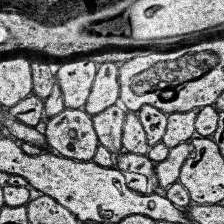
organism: Human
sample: Temporal Lobe